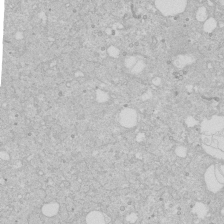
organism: Human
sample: Caco-2 cells